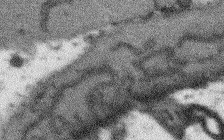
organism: Arabidopsis thaliana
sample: Root tip